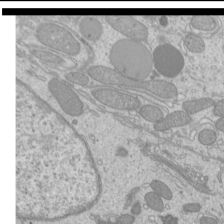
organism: Mouse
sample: Cilia; mouse epididymis